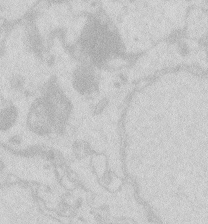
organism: Zebrafish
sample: Macrophage